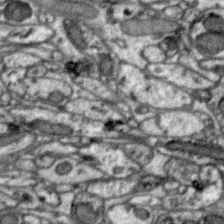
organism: Zebra finch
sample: Brain